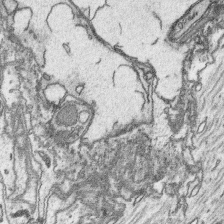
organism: Platynereis dumerilii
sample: Parapodia